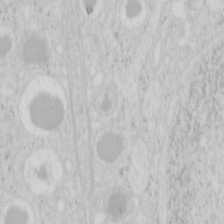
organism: Mouse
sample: Pancreas